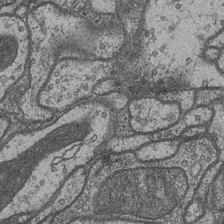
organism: Drosophila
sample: Optic medulla